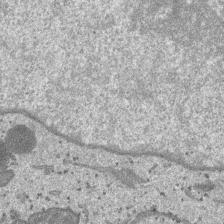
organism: Human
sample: Lung epithelial cells infected with SARS-CoV-2